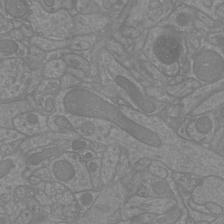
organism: Mouse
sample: Cortical neurons